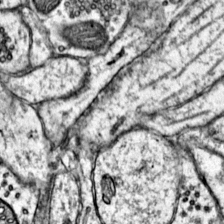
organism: Mouse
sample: Primary visual cortex